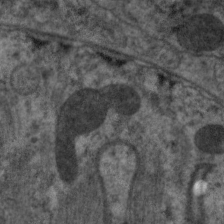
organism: C. elegans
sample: Pharynx